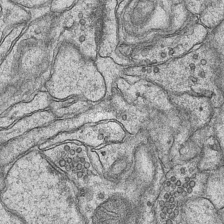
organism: Mouse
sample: CA1 Hippocampus